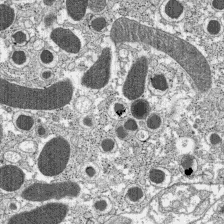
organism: C57BL Mouse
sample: Pancreatic islet